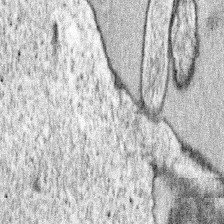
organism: Human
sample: HeLa cells